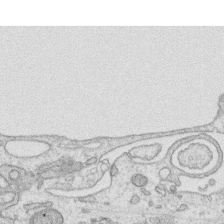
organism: Human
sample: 1205lu cells